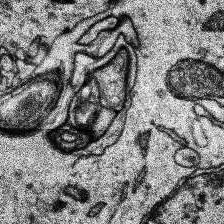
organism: Human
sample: Temporal Lobe